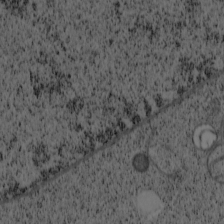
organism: African green monkey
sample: COS-7 cells